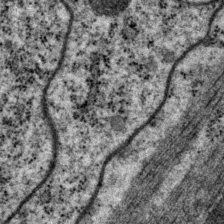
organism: P. pacificus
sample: Pharynx